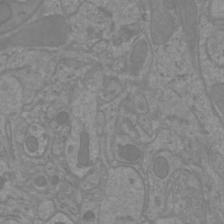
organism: Mouse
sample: Cortical neurons